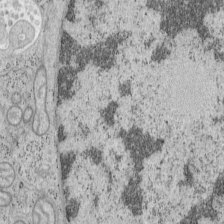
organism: Mouse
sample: OT-I killer T cells with ID8 ovarian cancer cells